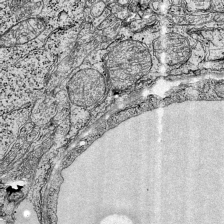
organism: Mouse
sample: Visual Cortex